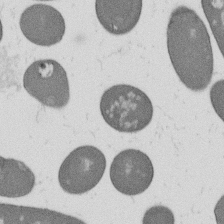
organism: B. subtilis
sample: Bacterial spore